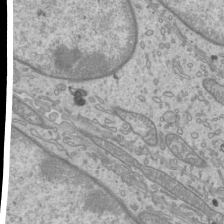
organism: Mouse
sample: Cilia; mouse epididymis